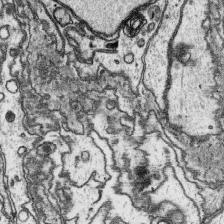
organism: Platynereis dumerilii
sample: Parapodia